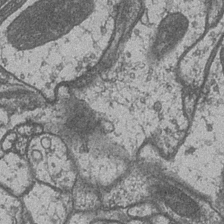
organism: Drosophila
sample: Optic medulla